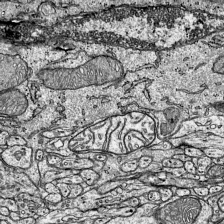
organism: Mouse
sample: Visual Cortex